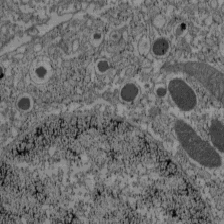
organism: C57BL Mouse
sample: Pancreatic islet